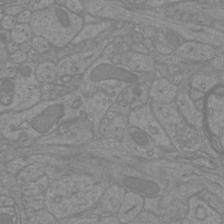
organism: Mouse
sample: Cortical neurons